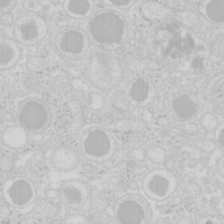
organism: Mouse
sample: Pancreas